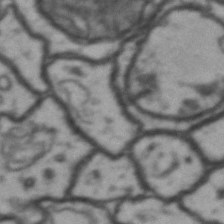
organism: Drosophila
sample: Brain